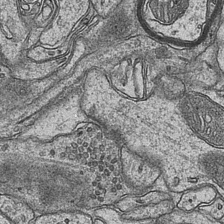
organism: Mouse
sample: CA1 Hippocampus